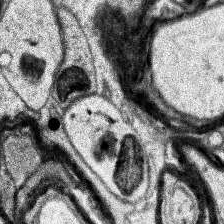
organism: Human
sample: Temporal Lobe